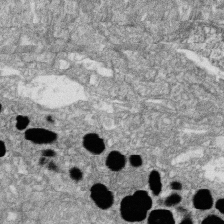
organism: Zebrafish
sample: Cilia; retinal pigment epithelium